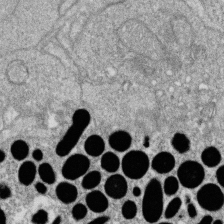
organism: Zebrafish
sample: Cilia; retinal pigment epithelium